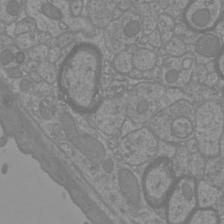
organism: Mouse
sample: Cortical neurons